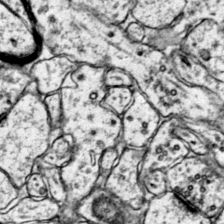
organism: Mouse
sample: Primary visual cortex